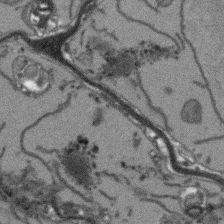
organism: Arabidopsis thaliana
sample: Root tip